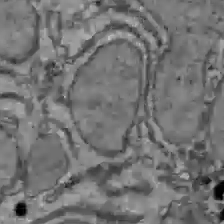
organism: C57BL Mouse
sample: Liver